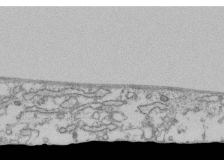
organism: Human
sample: Fibroblast cells